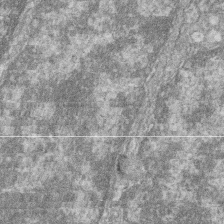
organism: Zebrafish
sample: Cilia; retinal pigment epithelium